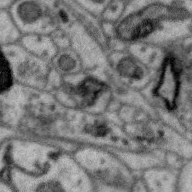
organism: Zebra finch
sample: Brain